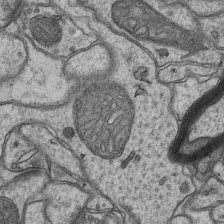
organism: Mouse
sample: CA1 Hippocampus